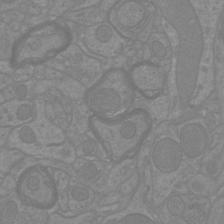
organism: Mouse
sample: Cortical neurons